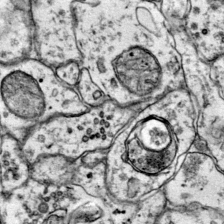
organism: Mouse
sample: Primary visual cortex